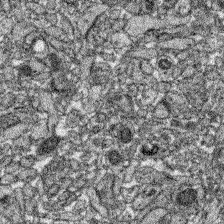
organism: Zebrafish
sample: Larval olfactory bulb